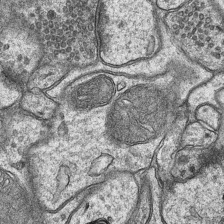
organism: Mouse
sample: CA1 Hippocampus